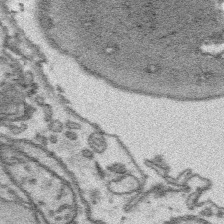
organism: Platynereis dumerilii